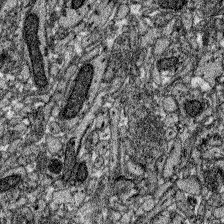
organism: Zebrafish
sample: Larval olfactory bulb